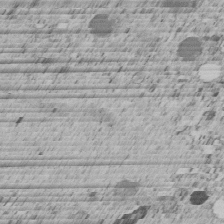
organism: C. elegans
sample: C. elegans embryo early stage